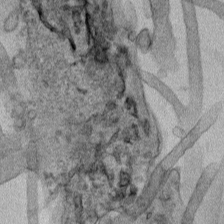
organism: Human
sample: Mitochondria in HCT116 cells